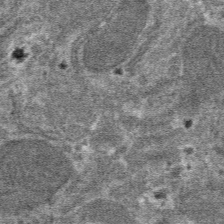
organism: Mouse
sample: Mouse hepatocytes